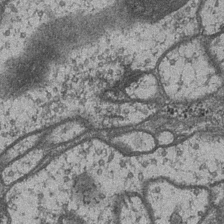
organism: Drosophila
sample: Optic medulla